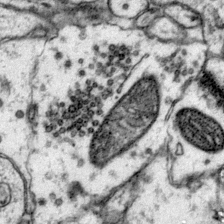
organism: Mouse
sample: Primary visual cortex